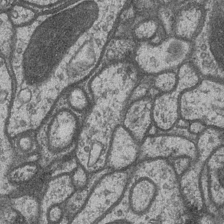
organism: Drosophila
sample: Optic medulla